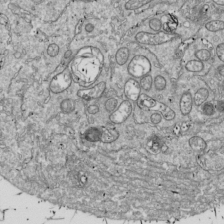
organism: Drosophila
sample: Cell division; meiosis; drosophila spermatocytes